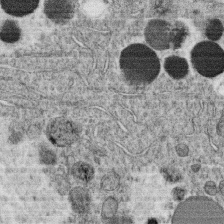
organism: C. elegans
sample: C. elegans oocyte; sperm cells